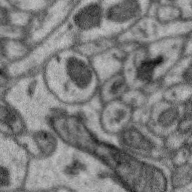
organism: Zebra finch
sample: Brain